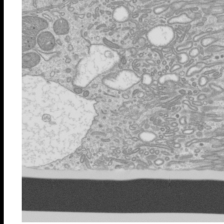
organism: Mouse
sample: Cilia; mouse epididymis